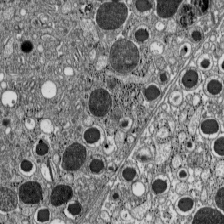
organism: C57BL Mouse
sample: Pancreatic islet